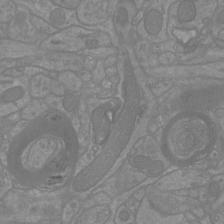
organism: Mouse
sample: Cortical neurons